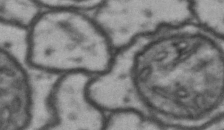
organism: Drosophila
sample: Brain